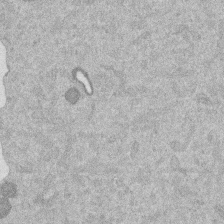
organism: Mouse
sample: Dividing mouse embryo 1 cell stage